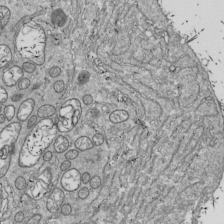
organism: Drosophila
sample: Cell division; meiosis; drosophila spermatocytes